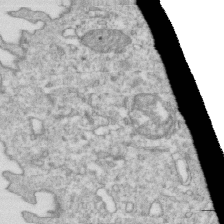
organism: Mouse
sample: Activated OT-1 CD8+ T cells